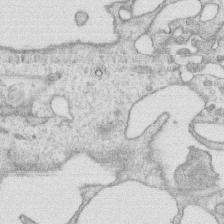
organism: Human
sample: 1205lu cells